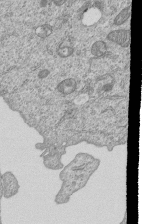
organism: Human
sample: MDA-MB-231 cells